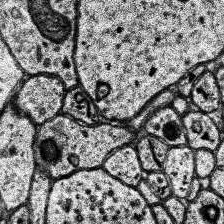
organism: Human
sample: Temporal Lobe